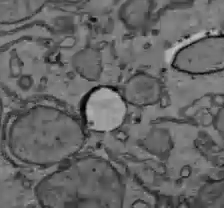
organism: C57BL Mouse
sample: Liver